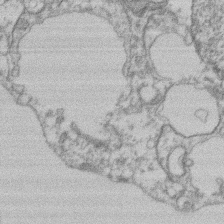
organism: Mouse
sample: T cell stromal cell synapse